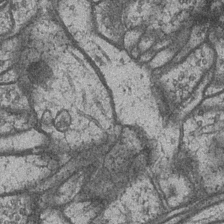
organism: Drosophila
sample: Optic medulla